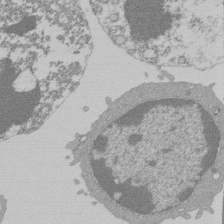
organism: Mouse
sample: Activated Pmel transgenic CD8+ T Cells